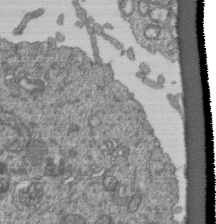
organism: Human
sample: Retinal organoid Rod and Cone cells